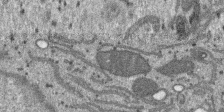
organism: Human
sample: Lung epithelial cells infected with SARS-CoV-2